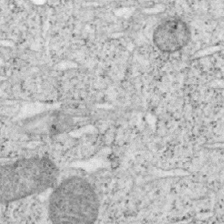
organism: Mouse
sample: OT-I killer T cells with ID8 ovarian cancer cells